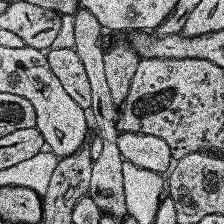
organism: Human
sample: Temporal Lobe